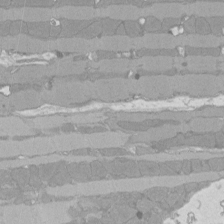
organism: Rat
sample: Left ventricle